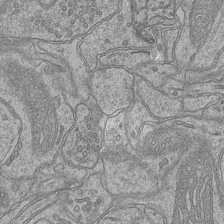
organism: Mouse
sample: CA1 Hippocampus